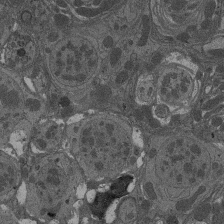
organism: Drosophila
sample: Antenna